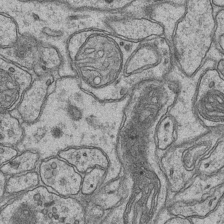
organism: Mouse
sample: CA1 Hippocampus